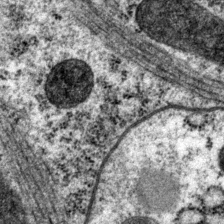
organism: P. pacificus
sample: Pharynx